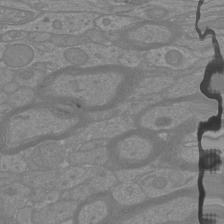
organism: Mouse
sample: Cortical neurons